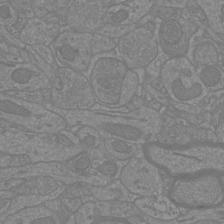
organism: Mouse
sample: Cortical neurons